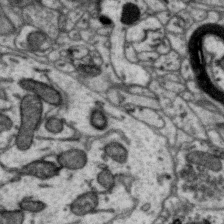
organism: Zebra finch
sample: Brain